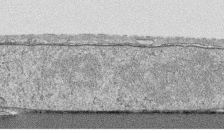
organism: Human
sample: CRL-1474